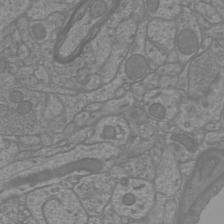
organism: Mouse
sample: Cortical neurons